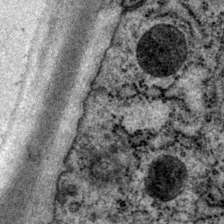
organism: P. pacificus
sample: Pharynx